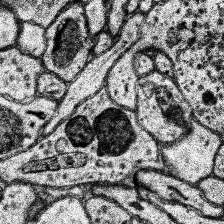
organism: Human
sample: Temporal Lobe